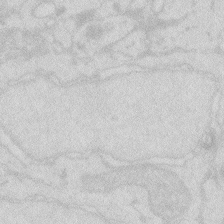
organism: Zebrafish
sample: Macrophage